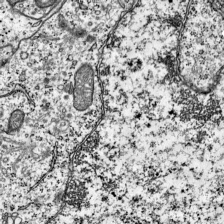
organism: Mouse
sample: Visual Cortex